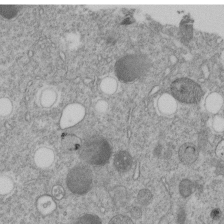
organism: C. elegans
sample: C. elegans embryo early stage